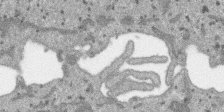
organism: Human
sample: Lung epithelial cells infected with SARS-CoV-2